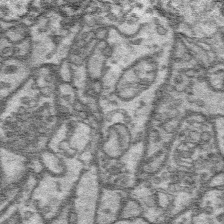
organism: Platynereis dumerilii